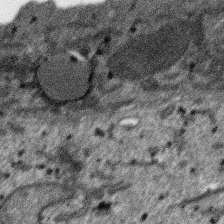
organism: Human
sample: Lung epithelial cells infected with SARS-CoV-2